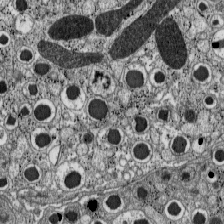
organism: C57BL Mouse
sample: Pancreatic islet